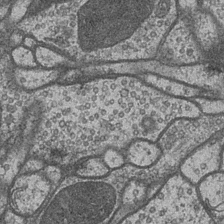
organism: Drosophila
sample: Optic medulla